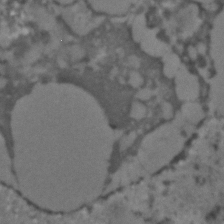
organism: C. elegans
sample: C. elegans embryo